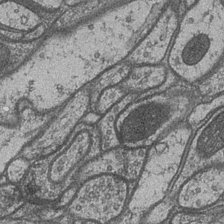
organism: Drosophila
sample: Optic medulla